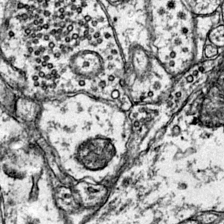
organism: Mouse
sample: Primary visual cortex